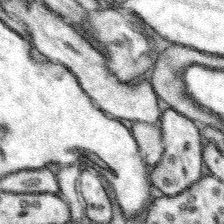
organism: Mouse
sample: Somatosensory cortex neuropil